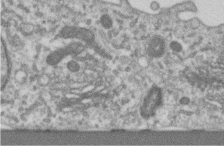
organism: Human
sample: Centriole in RPE cells